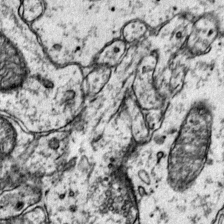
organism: Mouse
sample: Primary visual cortex